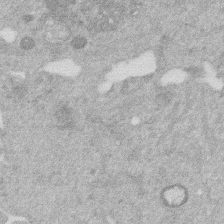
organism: Mouse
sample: Dividing mouse embryo 1 cell stage